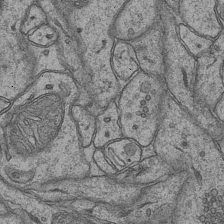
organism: Mouse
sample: CA1 Hippocampus